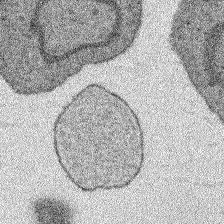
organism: Human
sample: HeLa cells